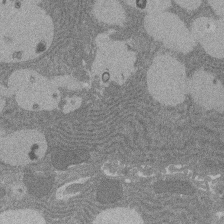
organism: Rat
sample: Salivary granule